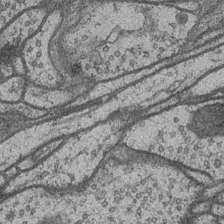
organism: Drosophila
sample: Optic medulla